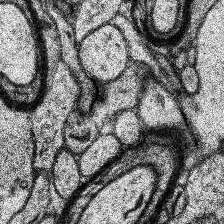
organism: Human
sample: Temporal Lobe